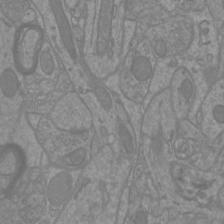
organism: Mouse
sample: Cortical neurons